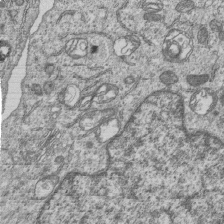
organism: Human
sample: MDA-MB-231 cells